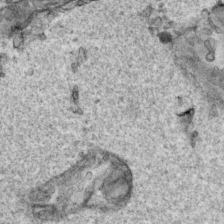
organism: Human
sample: Mitochondria in HCT116 cells